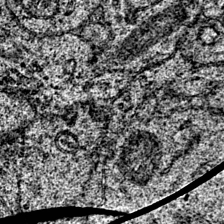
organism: Mouse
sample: Primary visual cortex